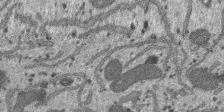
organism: Human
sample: Lung epithelial cells infected with SARS-CoV-2